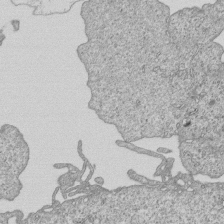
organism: Human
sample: MDA-MB-231 cells